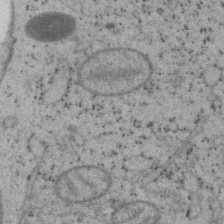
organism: Human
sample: HeLa cells